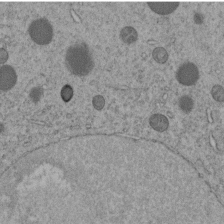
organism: C. elegans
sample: C. elegans embryo early stage